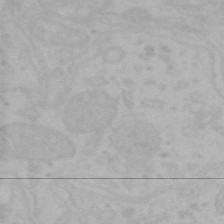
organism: Mouse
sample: Choroid plexus